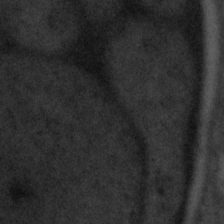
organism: Tuwongella immobilis